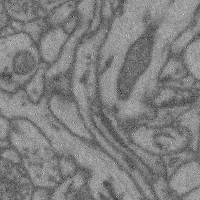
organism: Mouse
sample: Cerebral cortex